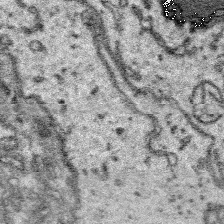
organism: Platynereis dumerilii